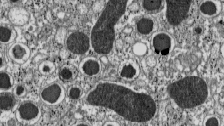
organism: C57BL Mouse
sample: Pancreatic islet